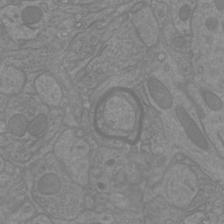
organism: Mouse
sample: Cortical neurons